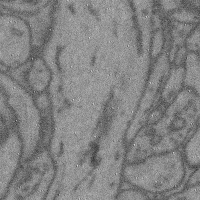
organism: Mouse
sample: Cerebral cortex